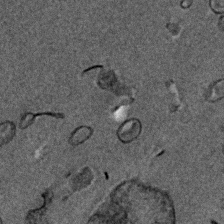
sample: Trachea